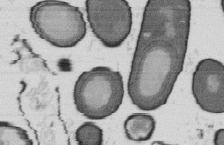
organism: B. subtilis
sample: Bacterial spore